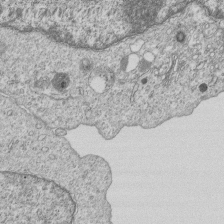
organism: Human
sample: MDA-MB-231 cells